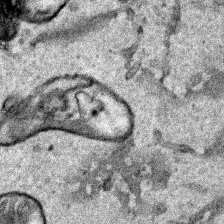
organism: Human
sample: Mitochondria in HCT116 cells